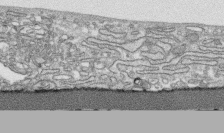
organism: Human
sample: CRL-1474